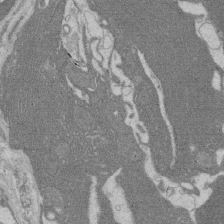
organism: Rat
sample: Salivary granule